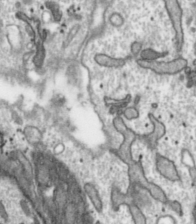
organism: Toxoplasma gondii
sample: Parasites in a vacuole inside a host cell